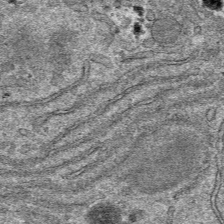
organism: Mouse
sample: Mouse hepatocytes